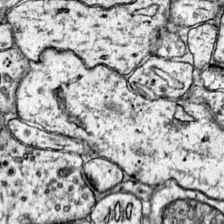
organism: Mouse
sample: Primary visual cortex